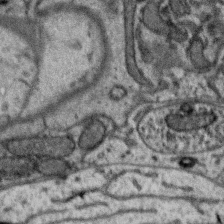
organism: Zebra finch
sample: Brain